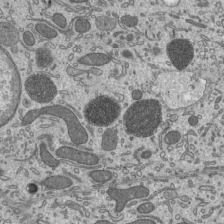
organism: Mouse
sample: Mouse epididymis efferent ductule cilia